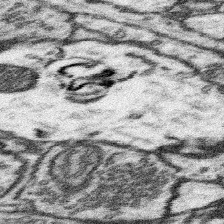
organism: Mouse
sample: Somatosensory cortex neuropil